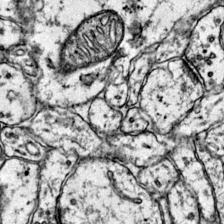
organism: Mouse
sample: Primary visual cortex